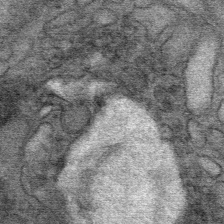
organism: Mouse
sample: Mouse Salivary gland